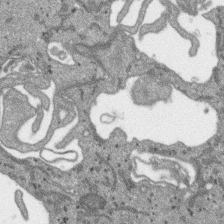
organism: Human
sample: Lung epithelial cells infected with SARS-CoV-2